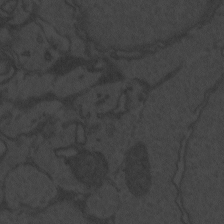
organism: Zebrafish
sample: Macrophage infected with Toxoplasma gondii